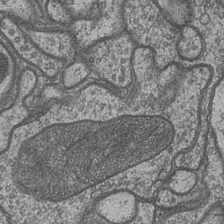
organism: Drosophila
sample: Optic medulla